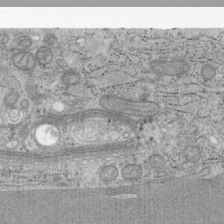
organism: Human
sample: HeLa cells